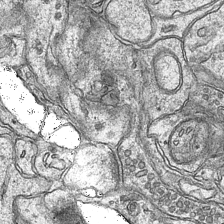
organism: Mouse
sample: CA1 Hippocampus